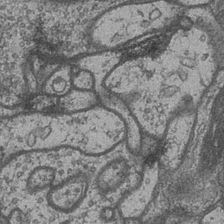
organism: Drosophila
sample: Optic medulla